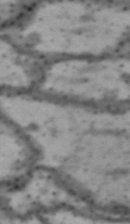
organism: Drosophila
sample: Brain